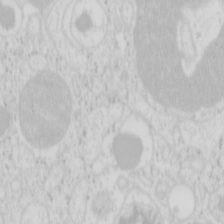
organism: Mouse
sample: Pancreas